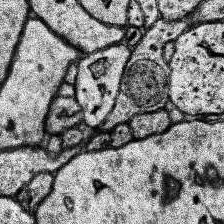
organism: Human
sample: Temporal Lobe